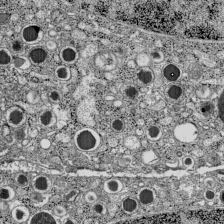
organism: C57BL Mouse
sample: Pancreatic islet